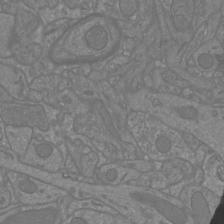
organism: Mouse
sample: Cortical neurons